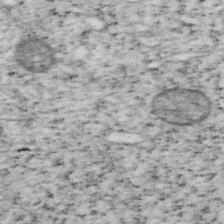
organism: Mouse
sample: OT-I killer T cells with ID8 ovarian cancer cells